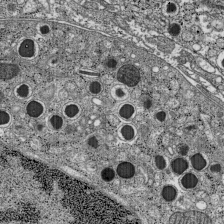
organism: C57BL Mouse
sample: Pancreatic islet